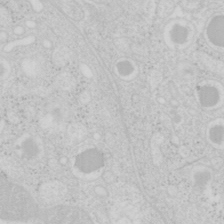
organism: Mouse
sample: Pancreas